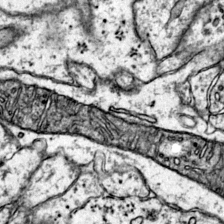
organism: Mouse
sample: Primary visual cortex